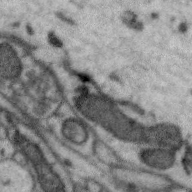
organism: Zebra finch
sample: Brain